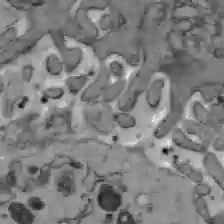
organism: C57BL Mouse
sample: Liver